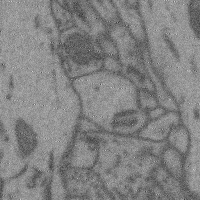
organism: Mouse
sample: Cerebral cortex